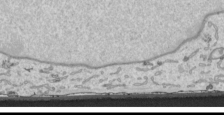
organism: Human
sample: Mitochondria in HCT116 cells